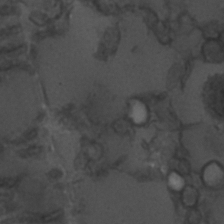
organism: C. elegans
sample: C. elegans embryo